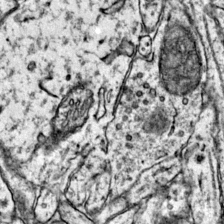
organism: Mouse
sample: Primary visual cortex